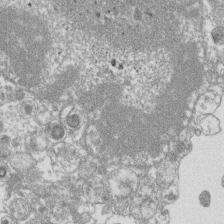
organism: Human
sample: HeLa cell HIV synapse